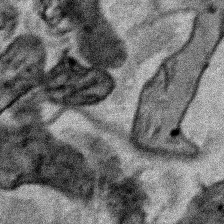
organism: Human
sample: Mitochondria in HCT116 cells